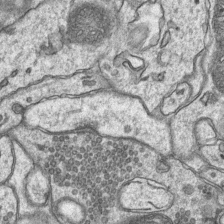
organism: Mouse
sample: CA1 Hippocampus